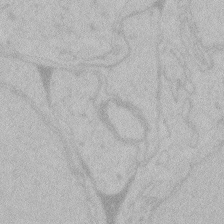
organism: Zebrafish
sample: Macrophage infected with Toxoplasma gondii